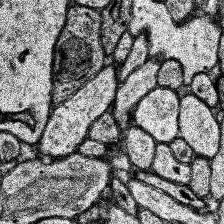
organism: Human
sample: Temporal Lobe